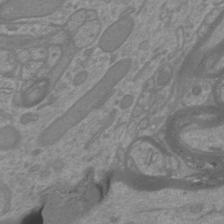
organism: Mouse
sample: Cortical neurons